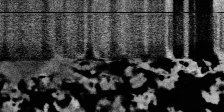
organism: Human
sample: Lung epithelial cells, uninfected (mock) control